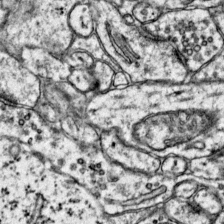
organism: Mouse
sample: Primary visual cortex